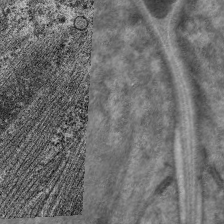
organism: C. elegans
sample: Pharynx